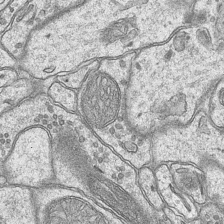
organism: Mouse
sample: CA1 Hippocampus